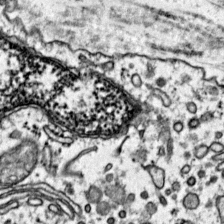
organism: Mouse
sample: Primary visual cortex